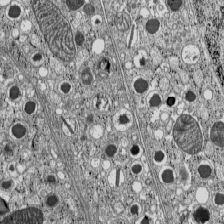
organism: C57BL Mouse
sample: Pancreatic islet